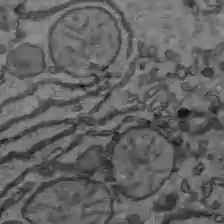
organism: C57BL Mouse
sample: Liver